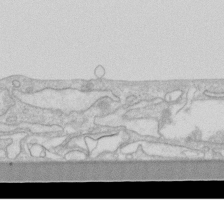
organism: Human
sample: Fibroblast cells